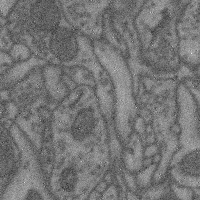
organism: Mouse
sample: Cerebral cortex